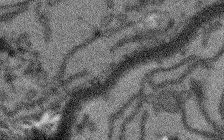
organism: Arabidopsis thaliana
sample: Root tip